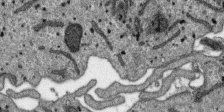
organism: Human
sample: Lung epithelial cells, uninfected (mock) control